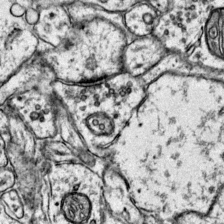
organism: Mouse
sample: Primary visual cortex